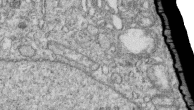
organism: Human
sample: HeLa cell HIV synapse